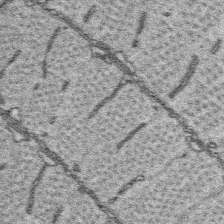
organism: Platynereis dumerilii